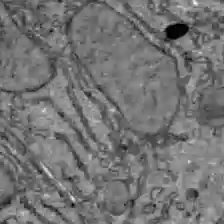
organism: C57BL Mouse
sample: Liver